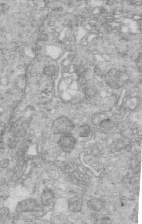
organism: Mouse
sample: Multiciliated cells